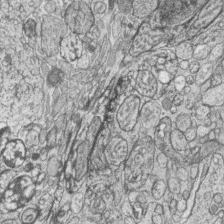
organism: Zebrafish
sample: synaptic ribbons in rod cells and cone cells